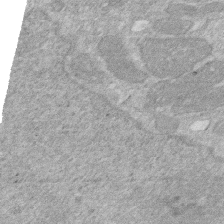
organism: Human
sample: HIV infected U937 cells